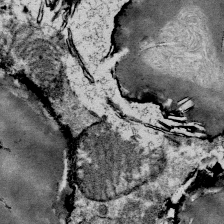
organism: Mouse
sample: Mouse Salivary gland